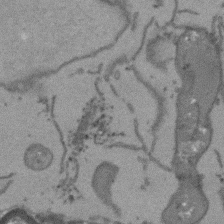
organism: Arabidopsis thaliana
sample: Root tip